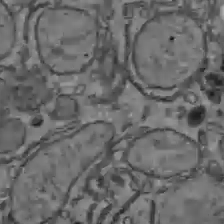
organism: C57BL Mouse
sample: Liver